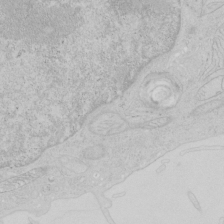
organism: Human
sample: Mitochondria in HCT116 cells